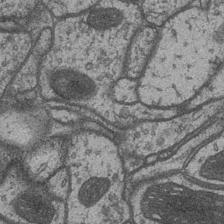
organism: Drosophila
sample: Optic medulla